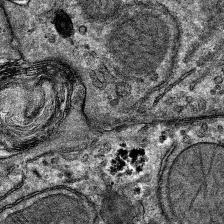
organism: Mouse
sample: Mouse hepatocytes